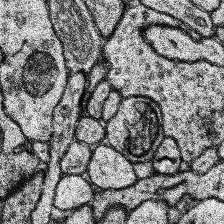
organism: Human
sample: Temporal Lobe